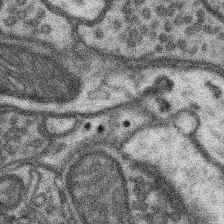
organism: Mouse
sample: Somatosensory cortex neuropil